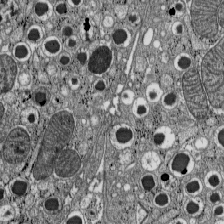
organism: C57BL Mouse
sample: Pancreatic islet